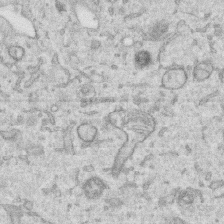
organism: Human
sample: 1205lu cells